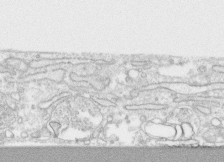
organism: Human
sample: CRL-1474